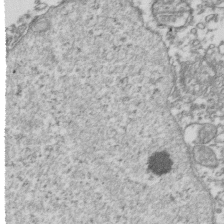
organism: Human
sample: Activated Jurkat CD4+ T cells